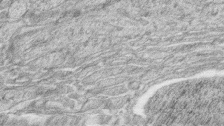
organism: Zebrafish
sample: synaptic ribbons in rod cells and cone cells